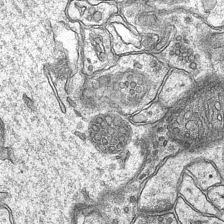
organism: Mouse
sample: CA1 Hippocampus